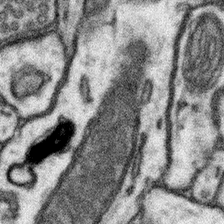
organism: Mouse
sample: Somatosensory cortex neuropil